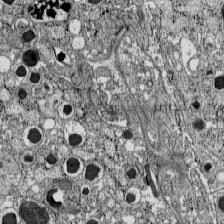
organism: C57BL Mouse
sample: Pancreatic islet